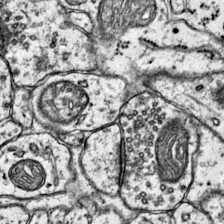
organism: Mouse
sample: Primary visual cortex